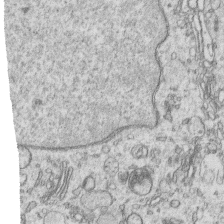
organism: Human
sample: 1205lu cells